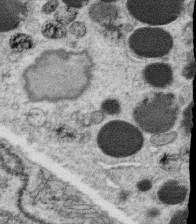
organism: C. elegans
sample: C. elegans oocyte; sperm cells